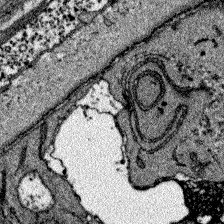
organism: Zebrafish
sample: Larval olfactory bulb